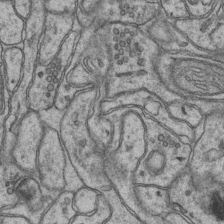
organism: Mouse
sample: CA1 Hippocampus